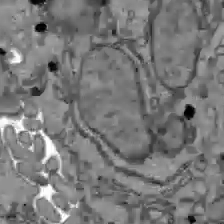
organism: C57BL Mouse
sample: Liver